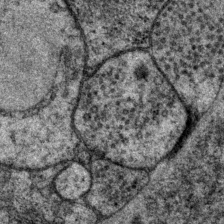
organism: P. pacificus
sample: Pharynx